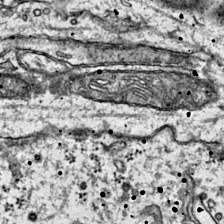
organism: Mouse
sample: Primary visual cortex